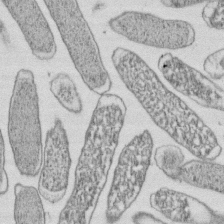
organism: E. coli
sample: Bacterial nucleoid